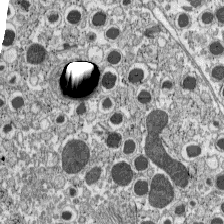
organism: C57BL Mouse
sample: Pancreatic islet